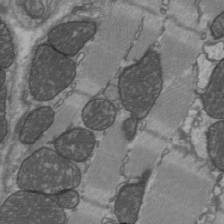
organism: C57BL Mouse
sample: Heart